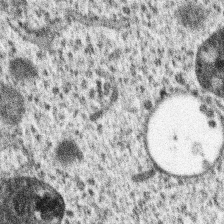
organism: Human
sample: HeLa cells